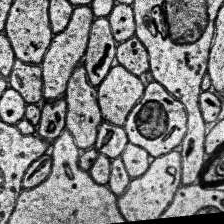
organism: Human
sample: Temporal Lobe